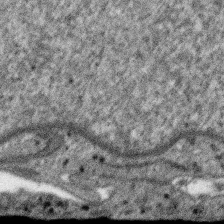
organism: Human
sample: Lung epithelial cells infected with SARS-CoV-2